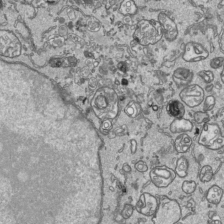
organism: Human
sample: Mitochondria in HCT116 cells